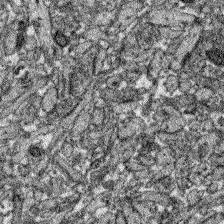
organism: Zebrafish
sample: Larval olfactory bulb